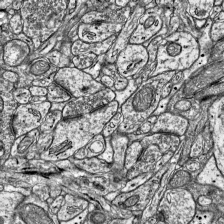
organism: Mouse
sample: Visual Cortex